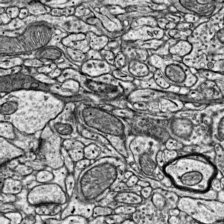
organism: Mouse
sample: Visual Cortex